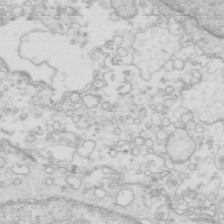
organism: Mouse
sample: Multiciliated cells